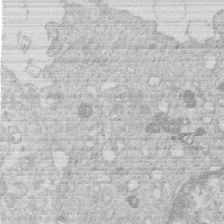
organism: Human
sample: Macrophage cells